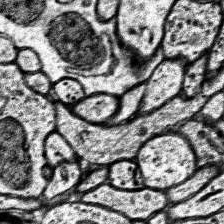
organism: Human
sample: Temporal Lobe